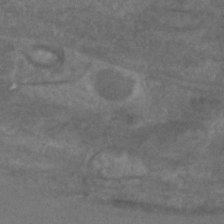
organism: C. elegans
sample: C. elegans embryo